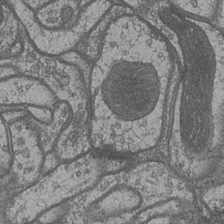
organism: Drosophila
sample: Optic medulla